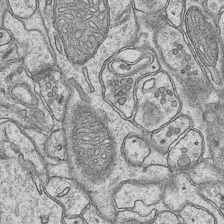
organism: Mouse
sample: CA1 Hippocampus